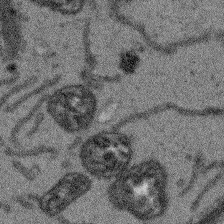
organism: Arabidopsis thaliana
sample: Root tip